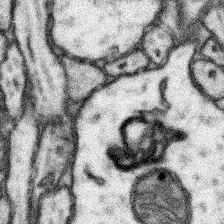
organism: Mouse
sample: Somatosensory cortex neuropil